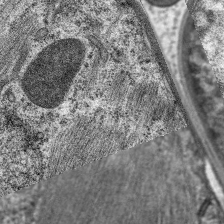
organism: C. elegans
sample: Pharynx